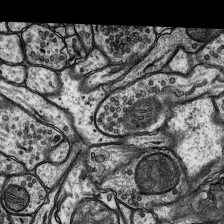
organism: Rat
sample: Hippocampus